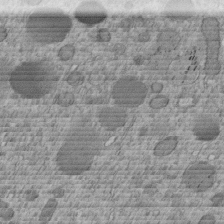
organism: C. elegans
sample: C. elegans embryo early stage